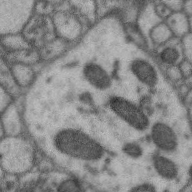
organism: Zebra finch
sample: Brain